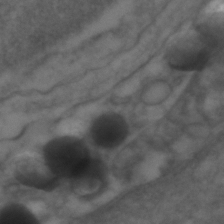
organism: Zebrafish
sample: Zebrafish embryo